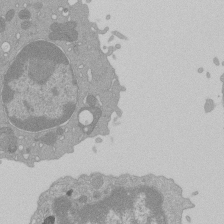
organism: Mouse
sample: Activated Pmel transgenic CD8+ T Cells